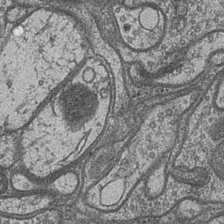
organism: Drosophila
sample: Optic medulla